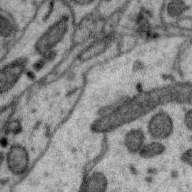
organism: Zebra finch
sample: Brain